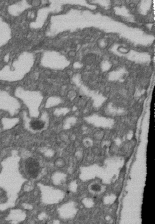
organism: Drosophila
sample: Nephrocyte